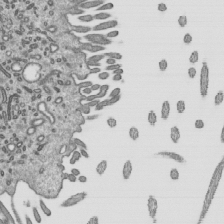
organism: Mouse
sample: Mouse epididymis efferent ductule cilia